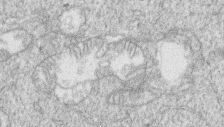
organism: Human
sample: HeLa cell HIV synapse